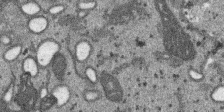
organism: Human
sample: Lung epithelial cells infected with SARS-CoV-2